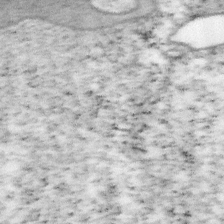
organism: Mouse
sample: OT-I killer T cells with ID8 ovarian cancer cells